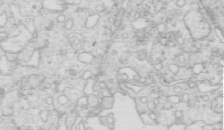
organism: Mouse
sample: Multiciliated cells